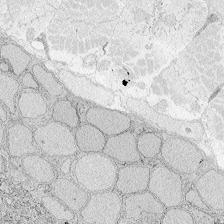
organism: Zebrafish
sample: Whole-Brain